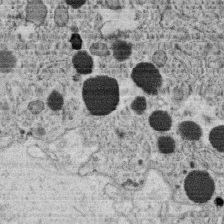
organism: C. elegans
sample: C. elegans oocyte; sperm cells